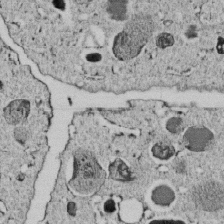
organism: C. elegans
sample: C. elegans embryo early stage